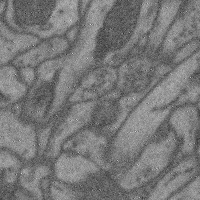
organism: Mouse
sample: Cerebral cortex